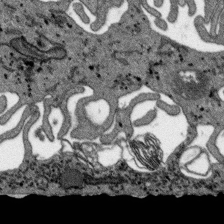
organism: Human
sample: Lung epithelial cells, uninfected (mock) control